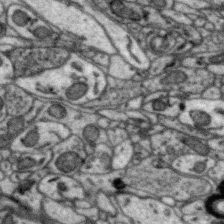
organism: Zebra finch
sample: Brain